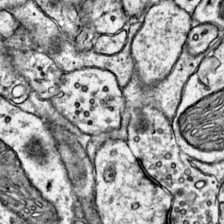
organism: Mouse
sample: Primary visual cortex